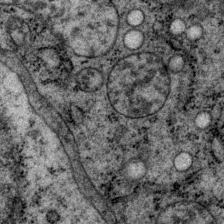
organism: P. pacificus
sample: Pharynx